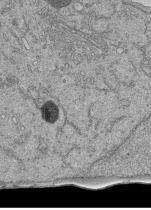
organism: Human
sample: Retinal organoid Rod and Cone cells